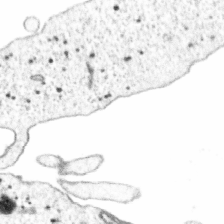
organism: Human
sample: HeLa cells